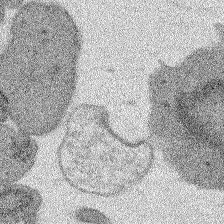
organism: Human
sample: HeLa cells